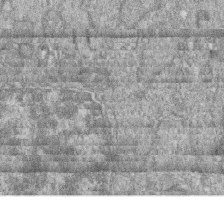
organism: Zebrafish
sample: Cilia; retinal pigment epithelium